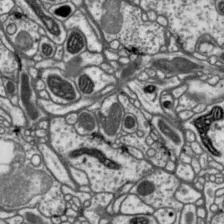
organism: Drosophila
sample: Protocerebral bridge